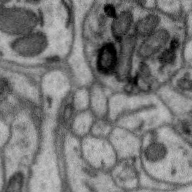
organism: Zebra finch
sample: Brain